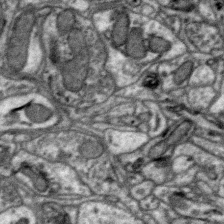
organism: Zebra finch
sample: Brain